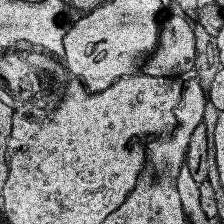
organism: Human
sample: Temporal Lobe